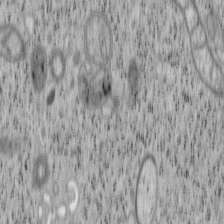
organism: Human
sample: HeLa cells